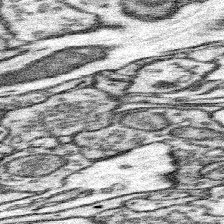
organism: Mouse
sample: Somatosensory cortex neuropil